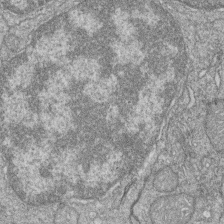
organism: Zebrafish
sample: Cilia; retinal pigment epithelium